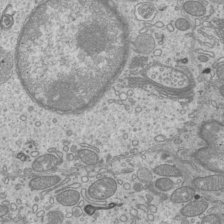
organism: Mouse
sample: Cilia; mouse epididymis